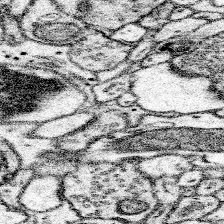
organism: Mouse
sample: Somatosensory cortex neuropil